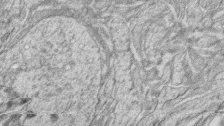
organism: Zebrafish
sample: synaptic ribbons in rod cells and cone cells